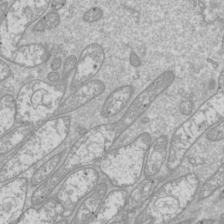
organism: Drosophila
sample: Cell division; meiosis; drosophila spermatocytes